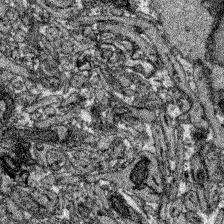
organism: Zebrafish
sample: Larval olfactory bulb